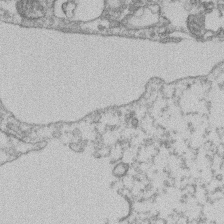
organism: Mouse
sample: T cell stromal cell synapse